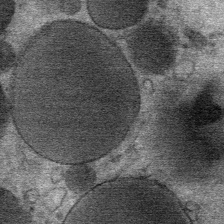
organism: Mouse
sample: Mouse Salivary gland